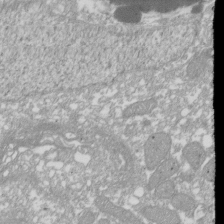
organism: Xenopus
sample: Cilia; centrioles in frog embryo cells